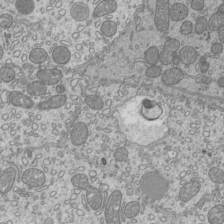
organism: Mouse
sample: Cilia; mouse epididymis